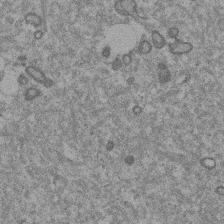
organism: Mouse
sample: Dividing mouse embryo 1 cell stage